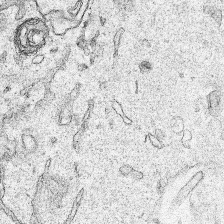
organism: Human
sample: Mitochondria in HCT116 cells